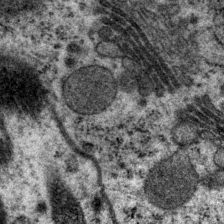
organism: P. pacificus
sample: Pharynx